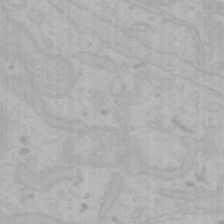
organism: Mouse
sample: Choroid plexus